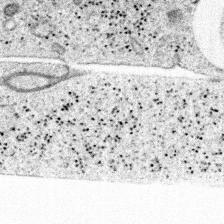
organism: Human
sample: HeLa cells